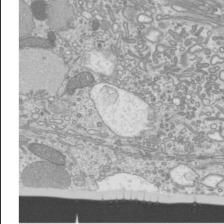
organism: Mouse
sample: Cilia; mouse epididymis